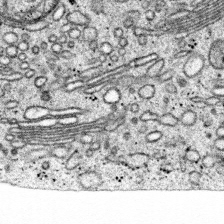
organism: Human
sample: HeLa cells